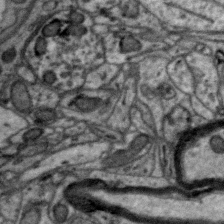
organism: Zebra finch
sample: Brain